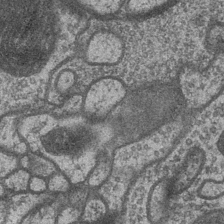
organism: Drosophila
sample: Optic medulla